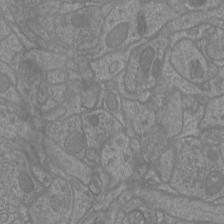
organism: Mouse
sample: Cortical neurons